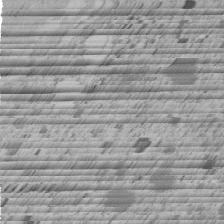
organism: C. elegans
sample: C. elegans embryo early stage